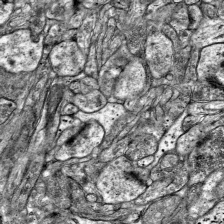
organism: Mouse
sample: Visual Cortex